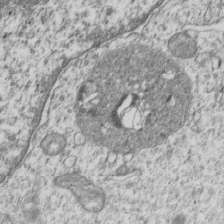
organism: Human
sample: MDA-MB-231 cells